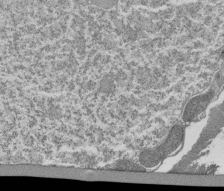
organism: Tetrahymena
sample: Cilia in tetrahymena